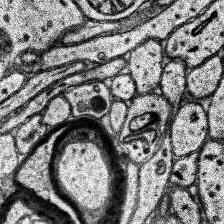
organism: Human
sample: Temporal Lobe